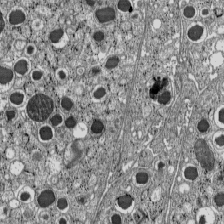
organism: C57BL Mouse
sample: Pancreatic islet